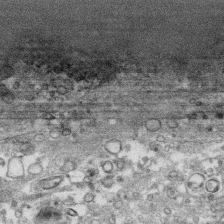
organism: Human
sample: CRL-1474